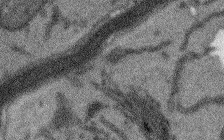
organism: Arabidopsis thaliana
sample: Root tip